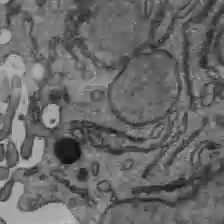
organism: C57BL Mouse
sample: Liver